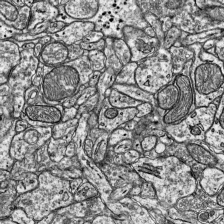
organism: Mouse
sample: Visual Cortex